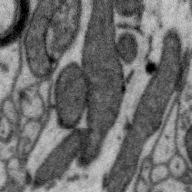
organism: Zebra finch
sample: Brain